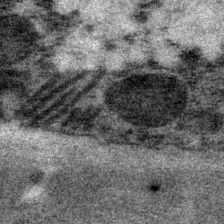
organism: P. pacificus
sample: Pharynx